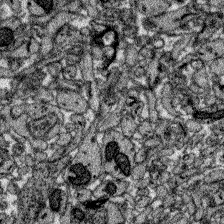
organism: Zebrafish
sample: Larval olfactory bulb